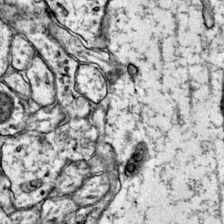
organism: Mouse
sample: Primary visual cortex